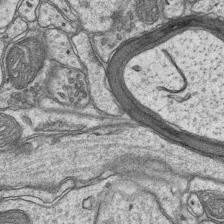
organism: Mouse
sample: CA1 Hippocampus